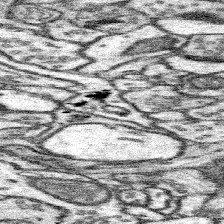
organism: Mouse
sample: Somatosensory cortex neuropil